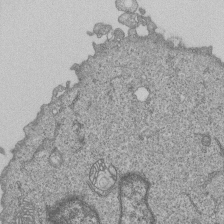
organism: Human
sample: MDA-MB-231 cells